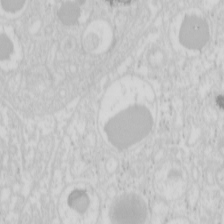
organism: Mouse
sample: Pancreas